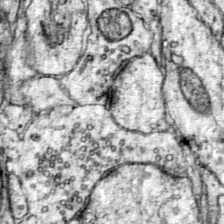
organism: Mouse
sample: Primary visual cortex